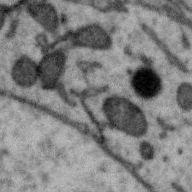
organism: Zebra finch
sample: Brain